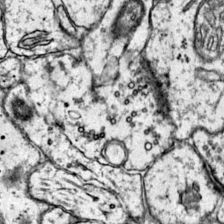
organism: Mouse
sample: Primary visual cortex